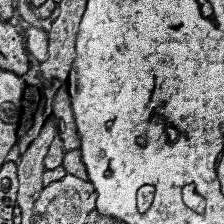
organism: Human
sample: Temporal Lobe